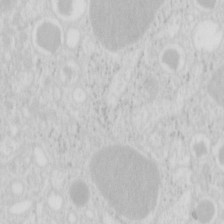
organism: Mouse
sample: Pancreas